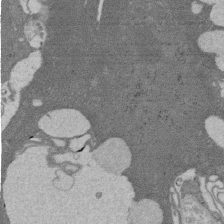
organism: Rat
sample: Salivary granule